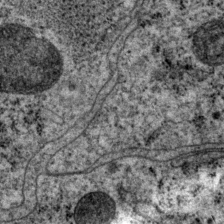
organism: P. pacificus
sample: Pharynx